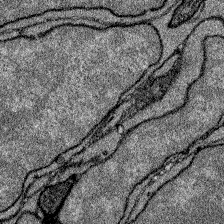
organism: Zebrafish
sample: Larval olfactory bulb